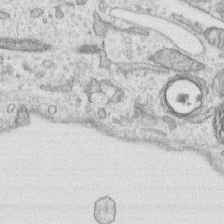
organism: Human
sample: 1205lu cells